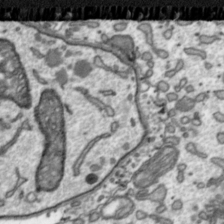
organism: Toxoplasma gondii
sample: Parasites in a vacuole inside a host cell